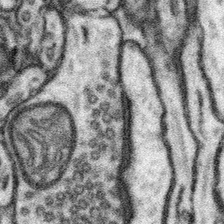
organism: Mouse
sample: Somatosensory cortex neuropil